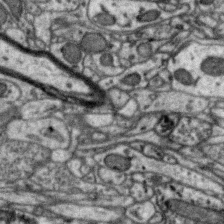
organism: Zebra finch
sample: Brain